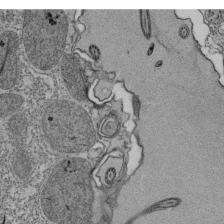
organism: Tetrahymena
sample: Cilia in tetrahymena